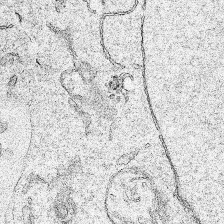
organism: Human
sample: Mitochondria in HCT116 cells